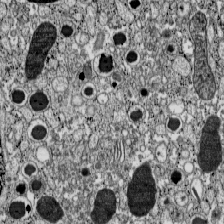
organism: C57BL Mouse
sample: Pancreatic islet